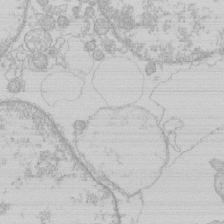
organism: Human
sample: Macrophage cells